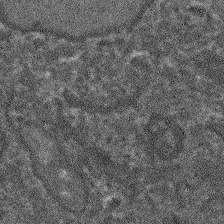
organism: Arabidopsis thaliana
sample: Root tip